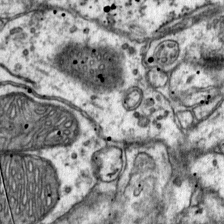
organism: Mouse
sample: Primary visual cortex